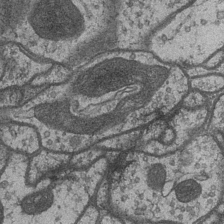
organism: Drosophila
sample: Optic medulla